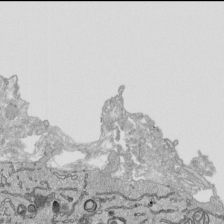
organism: Human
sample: Mitochondria in HCT116 cells